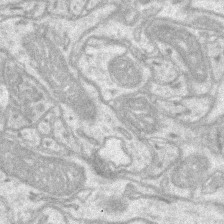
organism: Mouse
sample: CA1 Hippocampus